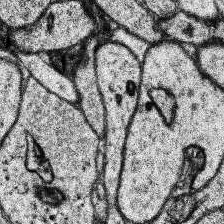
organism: Human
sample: Temporal Lobe